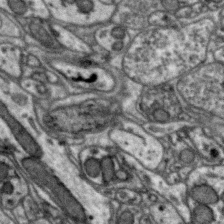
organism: Zebra finch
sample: Brain